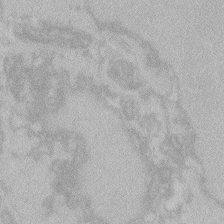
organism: Zebrafish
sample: Macrophage infected with Toxoplasma gondii